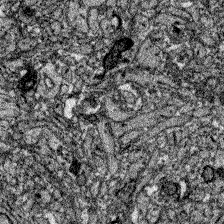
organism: Zebrafish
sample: Larval olfactory bulb